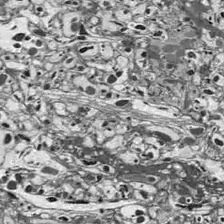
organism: Drosophila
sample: Optic lobe